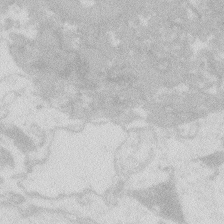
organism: Zebrafish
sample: Macrophage